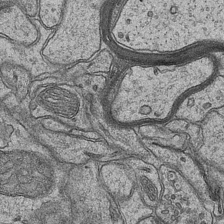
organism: Mouse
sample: CA1 Hippocampus